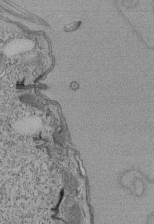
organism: Tetrahymena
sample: Cilia in tetrahymena